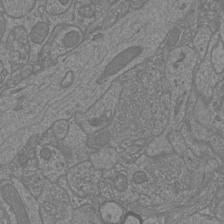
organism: Mouse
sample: Cortical neurons